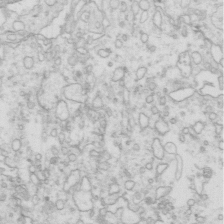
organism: Mouse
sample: Multiciliated cells